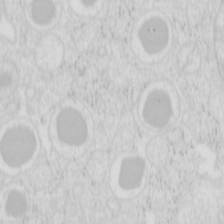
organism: Mouse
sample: Pancreas